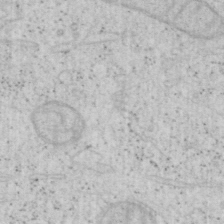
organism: Human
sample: HeLa cells